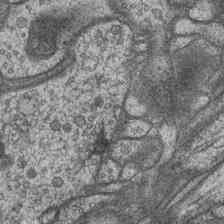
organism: Drosophila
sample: Optic medulla